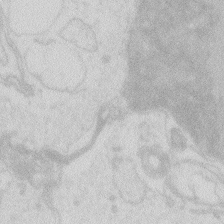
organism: Zebrafish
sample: Macrophage